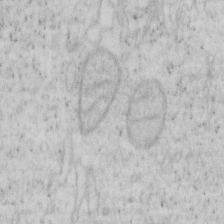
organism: Human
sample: HeLa cells